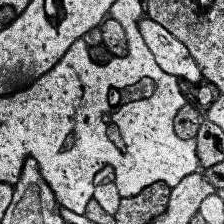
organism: Human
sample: Temporal Lobe